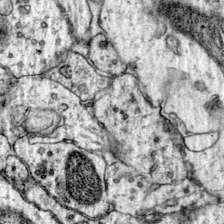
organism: Mouse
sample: Primary visual cortex